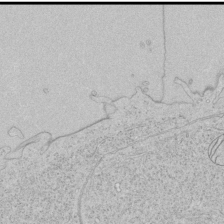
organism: Human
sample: Mitochondria in HCT116 cells